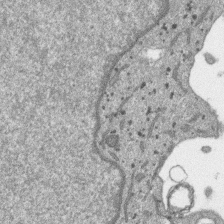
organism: Human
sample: Lung epithelial cells infected with SARS-CoV-2